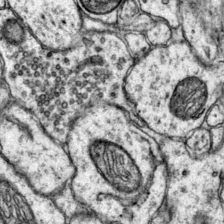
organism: Mouse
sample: Primary visual cortex